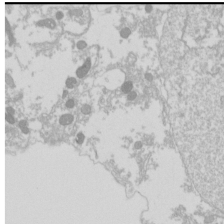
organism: Drosophila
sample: Cell division; meiosis; drosophila spermatocytes